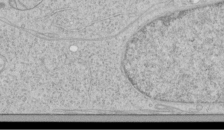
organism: Human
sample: Mitochondria in HCT116 cells